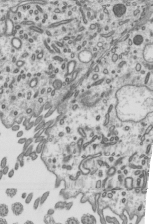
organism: Mouse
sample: Mouse epididymis efferent ductule cilia